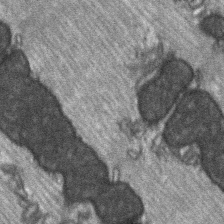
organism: C57BL Mouse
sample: Soleus